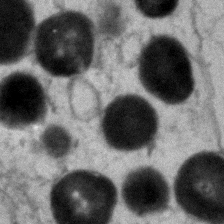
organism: Zebrafish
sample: Zebrafish embryo